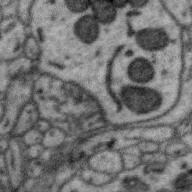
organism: Zebra finch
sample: Brain